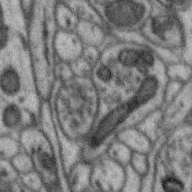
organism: Zebra finch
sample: Brain